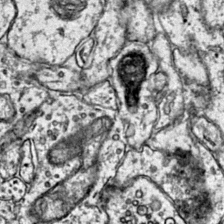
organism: Mouse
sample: Primary visual cortex